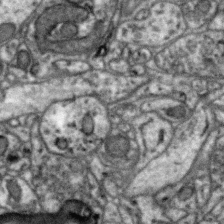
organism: Zebra finch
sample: Brain